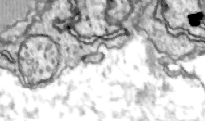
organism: Zebrafish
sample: Actinotrichia fibers